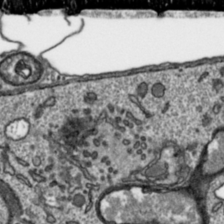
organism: Toxoplasma gondii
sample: Parasites in a vacuole inside a host cell